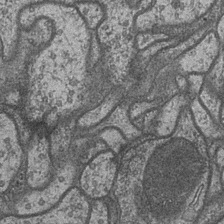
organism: Drosophila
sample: Optic medulla